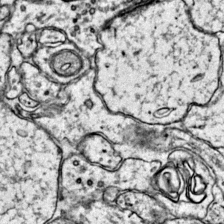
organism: Mouse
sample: Primary visual cortex